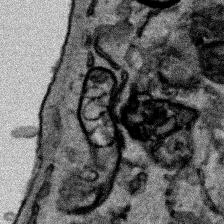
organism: Human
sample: Mitochondria in HCT116 cells